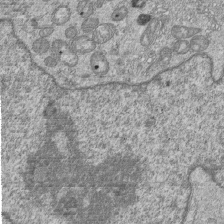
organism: Human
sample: MDA-MB-231 cells